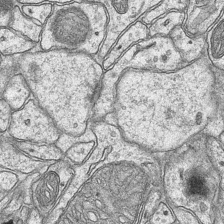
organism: Mouse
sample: CA1 Hippocampus